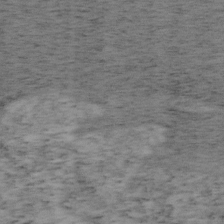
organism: Mouse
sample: OT-I killer T cells with ID8 ovarian cancer cells